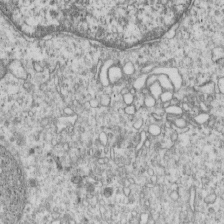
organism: Human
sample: MDA-MB-231 cells